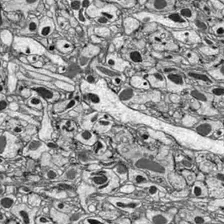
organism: Drosophila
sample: Optic lobe